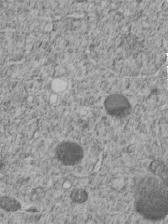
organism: C. elegans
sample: C. elegans embryo early stage